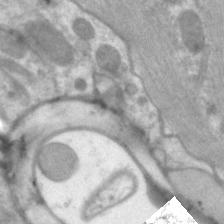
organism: C. elegans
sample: Pharynx